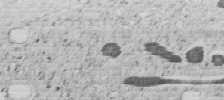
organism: C. elegans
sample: C. elegans embryo early stage